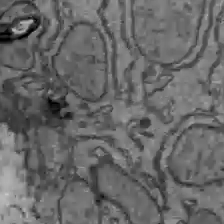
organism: C57BL Mouse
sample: Liver